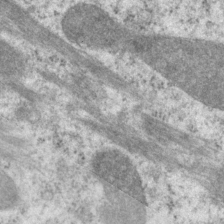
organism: P. pacificus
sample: Pharynx